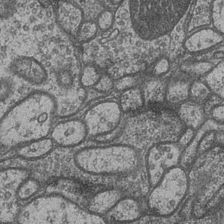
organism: Drosophila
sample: Optic medulla